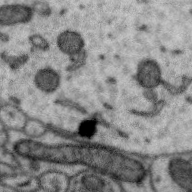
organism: Zebra finch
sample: Brain